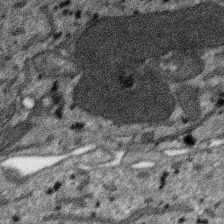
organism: Human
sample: Lung epithelial cells infected with SARS-CoV-2